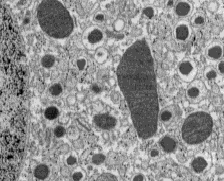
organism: C57BL Mouse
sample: Pancreatic islet